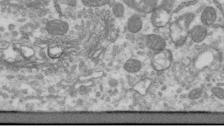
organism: Human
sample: Centriole in RPE cells